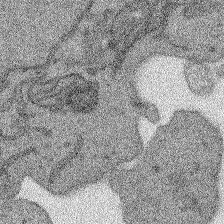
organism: Human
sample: HeLa cells